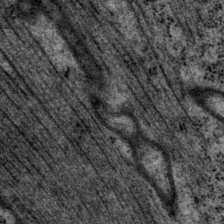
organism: P. pacificus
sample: Pharynx